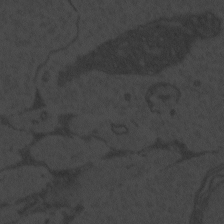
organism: Zebrafish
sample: Macrophage infected with Toxoplasma gondii